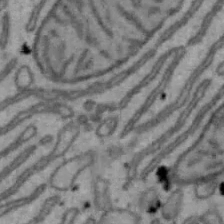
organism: Mouse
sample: Liver